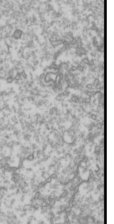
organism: Drosophila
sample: Cell division; meiosis; drosophila spermatocytes